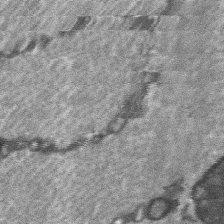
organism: C57BL Mouse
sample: Soleus